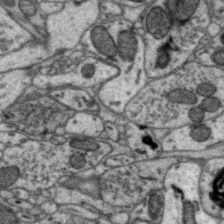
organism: Zebra finch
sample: Brain